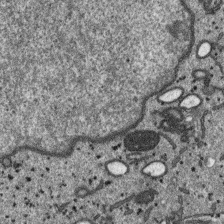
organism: Human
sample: Lung epithelial cells infected with SARS-CoV-2